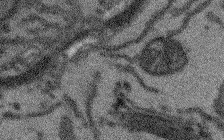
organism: Arabidopsis thaliana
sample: Root tip